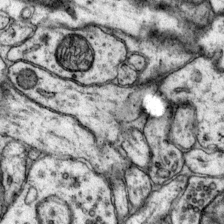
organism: Mouse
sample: Primary visual cortex